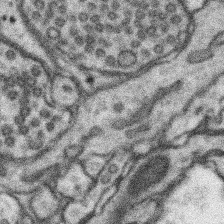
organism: Mouse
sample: Somatosensory cortex neuropil